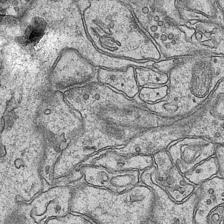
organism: Mouse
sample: CA1 Hippocampus